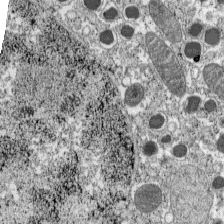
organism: C57BL Mouse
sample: Pancreatic islet